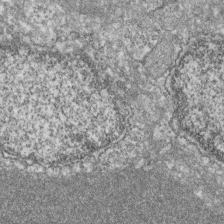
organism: Zebrafish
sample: Cilia; retinal pigment epithelium